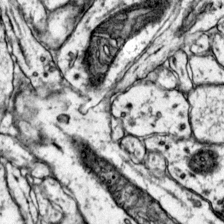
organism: Mouse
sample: Primary visual cortex